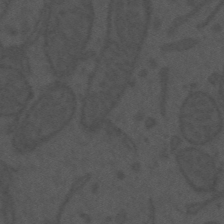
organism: Mouse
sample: Suprachiasmatic nucleus